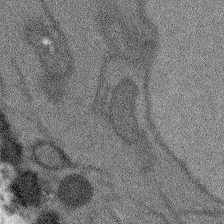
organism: Arabidopsis thaliana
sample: Root tip